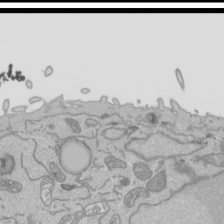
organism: Human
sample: Mitochondria in HCT116 cells